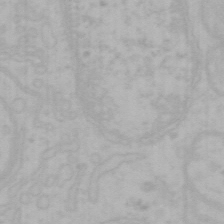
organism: Mouse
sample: Choroid plexus